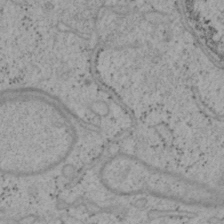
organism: Human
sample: HeLa cells